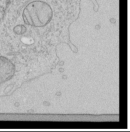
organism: Human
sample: Mitochondria in HCT116 cells